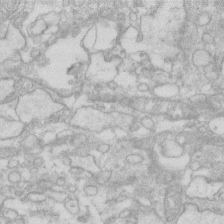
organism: Human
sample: Fibroblast cells